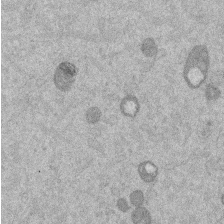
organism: Mouse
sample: Dividing mouse embryo 1 cell stage